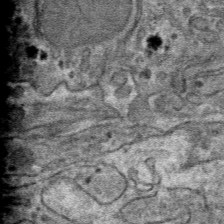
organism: Mouse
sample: Mouse hepatocytes